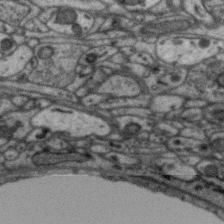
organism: Zebra finch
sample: Brain